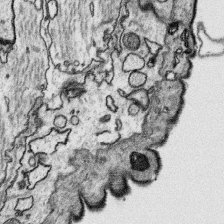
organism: Platynereis dumerilii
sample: Parapodia